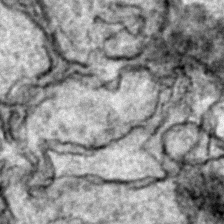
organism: Zebrafish